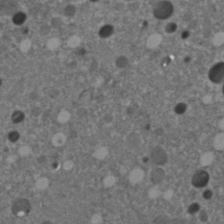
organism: C. elegans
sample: C. elegans embryo